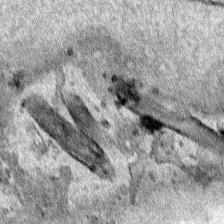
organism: Human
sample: Mitochondria in HCT116 cells